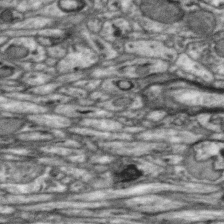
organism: Zebra finch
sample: Brain